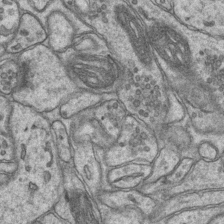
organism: Mouse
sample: CA1 Hippocampus